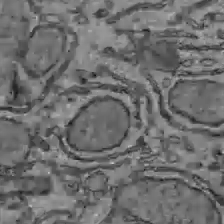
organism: C57BL Mouse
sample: Liver